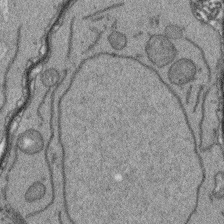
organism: Arabidopsis thaliana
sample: Root tip